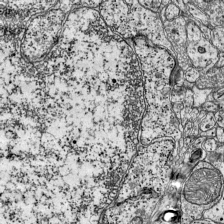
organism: Mouse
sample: Visual Cortex